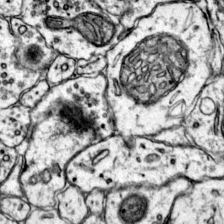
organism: Mouse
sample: Primary visual cortex